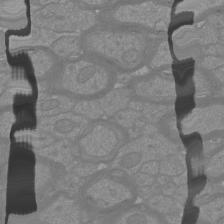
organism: Mouse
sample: Cortical neurons